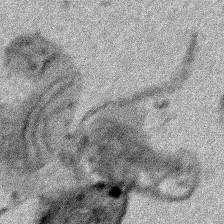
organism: Human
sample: Mitochondria in HCT116 cells